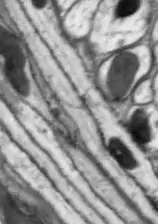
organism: Drosophila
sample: Optic lobe